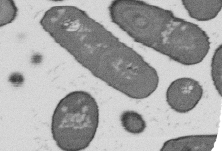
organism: B. subtilis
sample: Bacterial spore